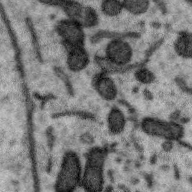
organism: Zebra finch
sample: Brain